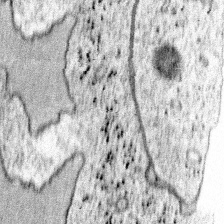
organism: Human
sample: HeLa cells